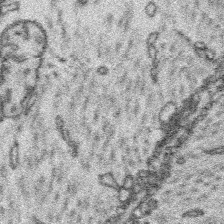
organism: Platynereis dumerilii